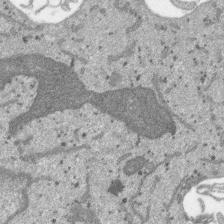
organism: Human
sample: Lung epithelial cells infected with SARS-CoV-2